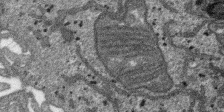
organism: Human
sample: Lung epithelial cells infected with SARS-CoV-2